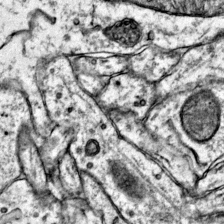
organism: Mouse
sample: Primary visual cortex